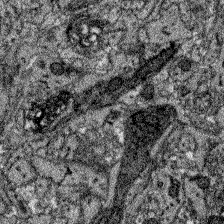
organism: Zebrafish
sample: Larval olfactory bulb